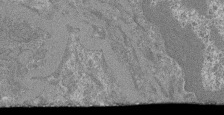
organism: Mouse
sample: Glomerulus